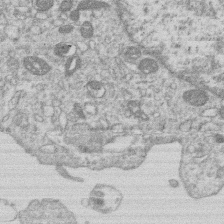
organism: Human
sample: Macrophage cells